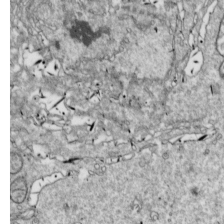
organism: Drosophila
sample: Cell division; meiosis; drosophila spermatocytes